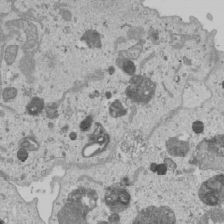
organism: Human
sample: Mitochondria in U2OS cells